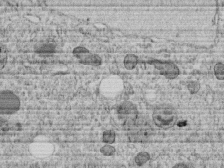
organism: C. elegans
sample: C. elegans embryo early stage